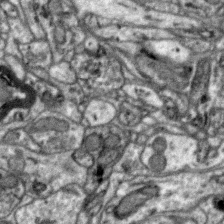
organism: Zebra finch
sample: Brain